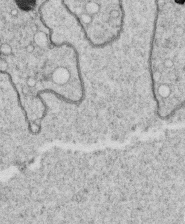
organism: C. elegans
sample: C. elegans oocyte; sperm cells